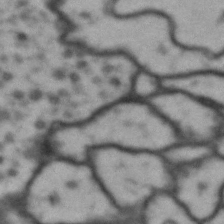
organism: Drosophila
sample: Brain